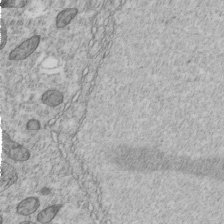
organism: C. elegans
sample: C. elegans embryo early stage